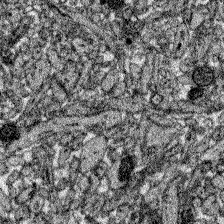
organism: Zebrafish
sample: Larval olfactory bulb